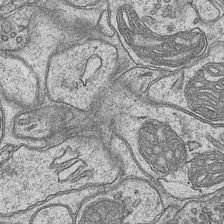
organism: Mouse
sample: CA1 Hippocampus